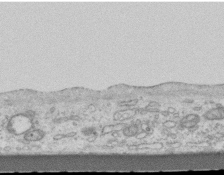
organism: Mouse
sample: Centriole in ependymal cells